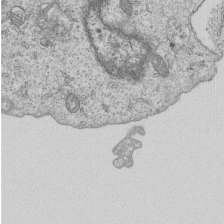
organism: Human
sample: MDA-MB-231 cells